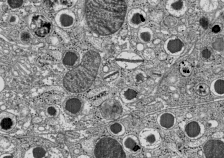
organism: C57BL Mouse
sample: Pancreatic islet